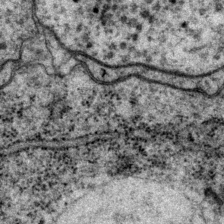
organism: P. pacificus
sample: Pharynx